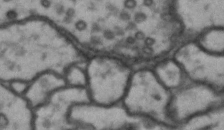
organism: Drosophila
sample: Brain